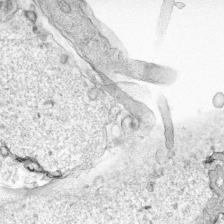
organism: Human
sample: Mitochondria in HCT116 cells